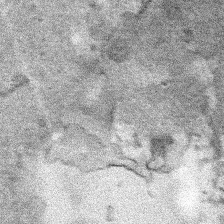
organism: Human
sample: Mitochondria in HCT116 cells